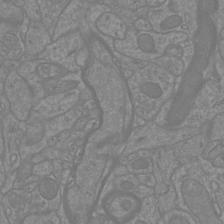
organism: Mouse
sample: Cortical neurons